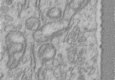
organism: Human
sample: Centriole in RPE cells